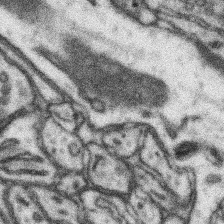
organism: Mouse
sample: Somatosensory cortex neuropil